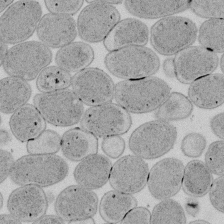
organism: E. coli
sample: Bacterial nucleoid